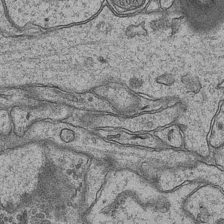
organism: Mouse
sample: CA1 Hippocampus